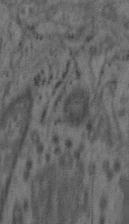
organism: Human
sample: HeLa cells